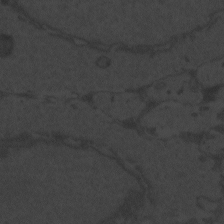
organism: Zebrafish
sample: Macrophage infected with Toxoplasma gondii